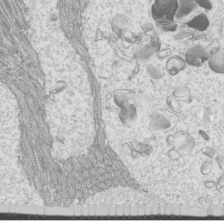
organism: Mouse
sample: Cilia; mouse epididymis